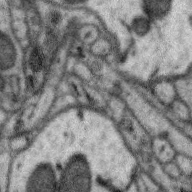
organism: Zebra finch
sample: Brain